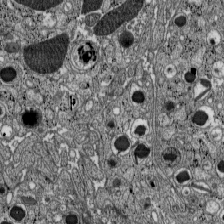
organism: C57BL Mouse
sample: Pancreatic islet